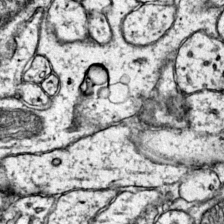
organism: Mouse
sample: Primary visual cortex